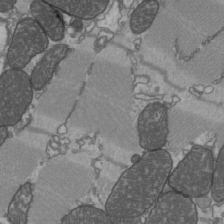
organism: C57BL Mouse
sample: Heart